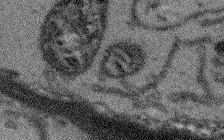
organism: Arabidopsis thaliana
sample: Root tip